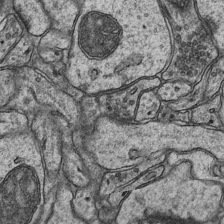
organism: Mouse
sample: CA1 Hippocampus